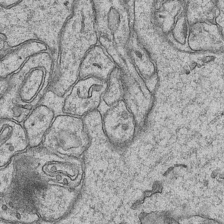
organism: Mouse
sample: CA1 Hippocampus